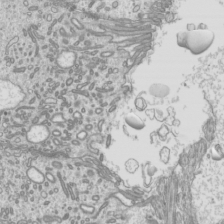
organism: Mouse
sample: Cilia; mouse epididymis